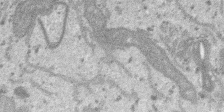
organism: Human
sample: Lung epithelial cells infected with SARS-CoV-2